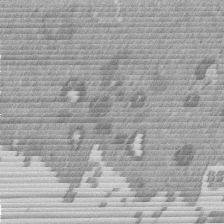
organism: Mouse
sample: Dividing mouse embryo 1 cell stage